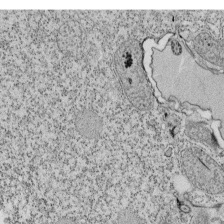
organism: Tetrahymena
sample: Cilia in tetrahymena